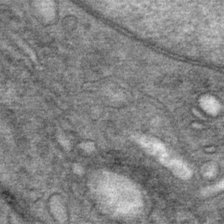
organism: Mouse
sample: Mouse Salivary gland